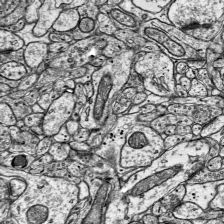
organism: Mouse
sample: Visual Cortex